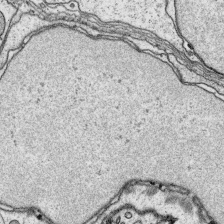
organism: Platynereis dumerilii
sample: Parapodia